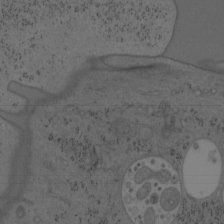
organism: Mouse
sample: OT-I killer T cells with ID8 ovarian cancer cells